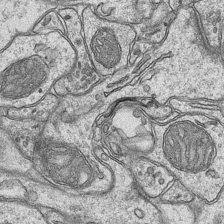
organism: Mouse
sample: CA1 Hippocampus